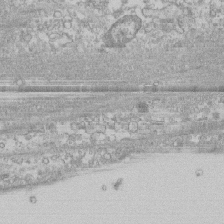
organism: Human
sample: CRL-1474